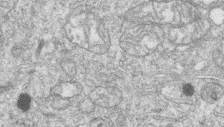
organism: Human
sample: HeLa cell HIV synapse